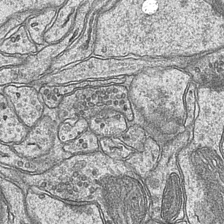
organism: Mouse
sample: CA1 Hippocampus